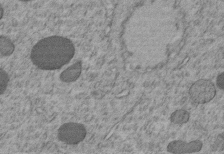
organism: C. elegans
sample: C. elegans embryo early stage